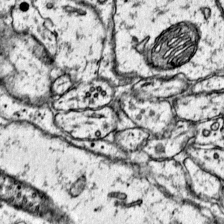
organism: Mouse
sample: Primary visual cortex